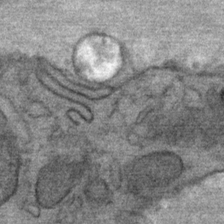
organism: Mouse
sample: Mouse Salivary gland